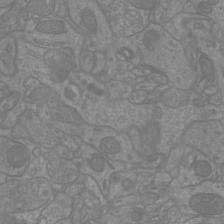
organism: Mouse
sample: Cortical neurons